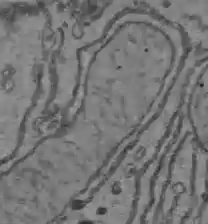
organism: C57BL Mouse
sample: Liver